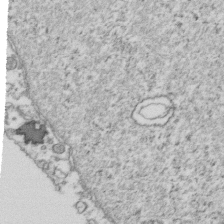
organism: Human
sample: Activated Jurkat CD4+ T cells